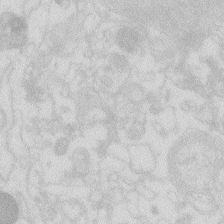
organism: Zebrafish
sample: Macrophage